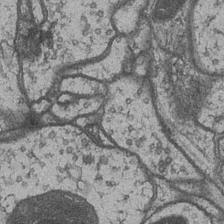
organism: Drosophila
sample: Optic medulla